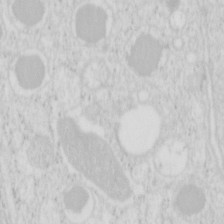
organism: Mouse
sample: Pancreas